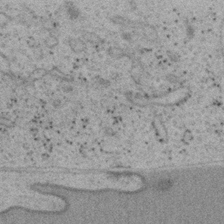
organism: Human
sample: HeLa cells